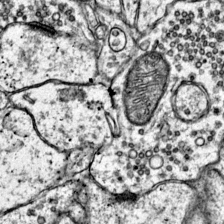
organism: Mouse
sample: Primary visual cortex